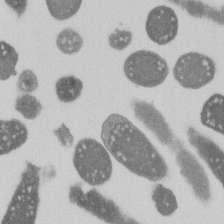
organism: E. coli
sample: Bacterial nucleoid